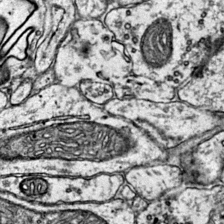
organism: Mouse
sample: Primary visual cortex